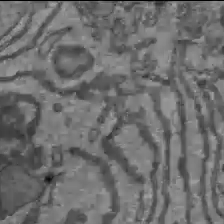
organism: C57BL Mouse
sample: Liver